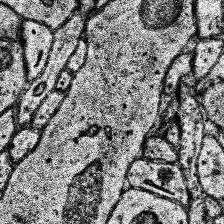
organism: Human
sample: Temporal Lobe